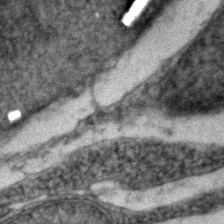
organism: Zebrafish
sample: Zebrafish embryo